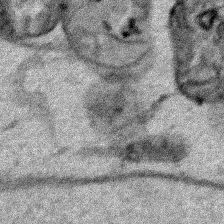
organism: Human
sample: Mitochondria in HCT116 cells